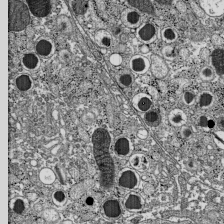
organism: C57BL Mouse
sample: Pancreatic islet